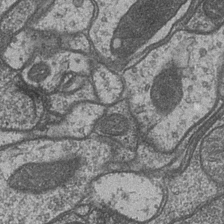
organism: Drosophila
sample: Optic medulla